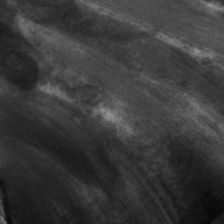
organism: C. elegans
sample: Pharynx